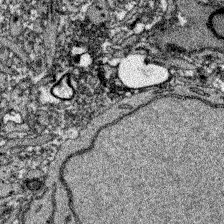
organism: Zebrafish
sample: Larval olfactory bulb